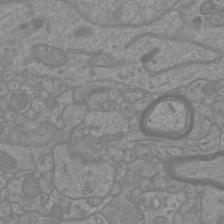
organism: Mouse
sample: Cortical neurons